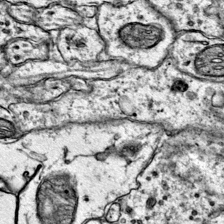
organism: Mouse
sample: Primary visual cortex